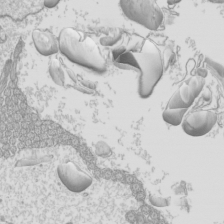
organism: Mouse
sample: Cilia; mouse epididymis